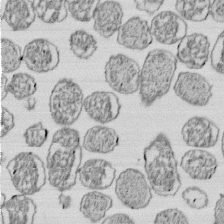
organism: E. coli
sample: Bacterial nucleoid